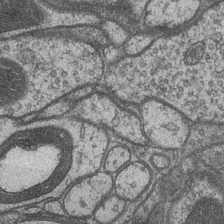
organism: Drosophila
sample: Optic medulla